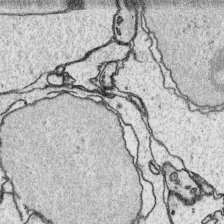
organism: Platynereis dumerilii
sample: Parapodia